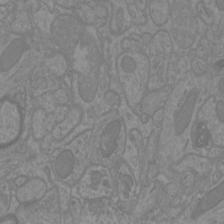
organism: Mouse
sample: Cortical neurons